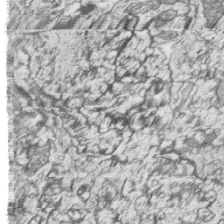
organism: Zebrafish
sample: synaptic ribbons in rod cells and cone cells